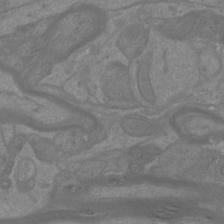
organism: Mouse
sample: Cortical neurons